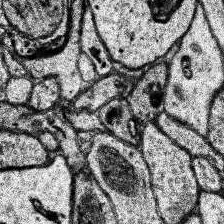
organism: Human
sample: Temporal Lobe